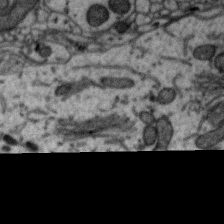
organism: Zebra finch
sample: Brain